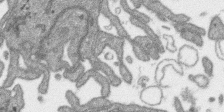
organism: Human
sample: Lung epithelial cells infected with SARS-CoV-2